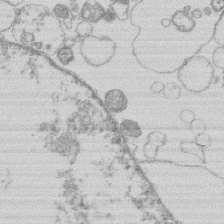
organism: Human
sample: Macrophage cells